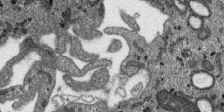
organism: Human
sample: Lung epithelial cells infected with SARS-CoV-2